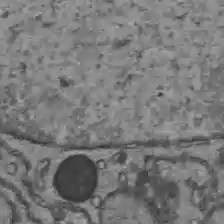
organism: C57BL Mouse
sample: Liver